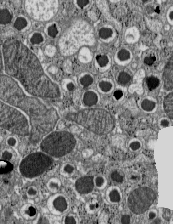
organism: C57BL Mouse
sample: Pancreatic islet